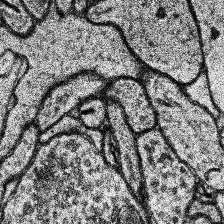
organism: Human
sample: Temporal Lobe